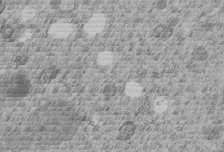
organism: C. elegans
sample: C. elegans embryo early stage